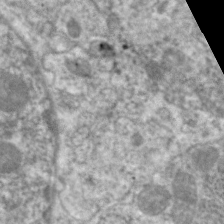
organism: C. elegans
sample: Pharynx